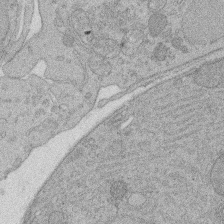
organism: Rat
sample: Salivary granule